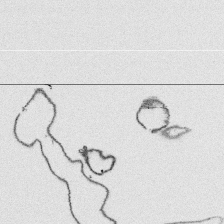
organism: Platynereis dumerilii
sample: Parapodia